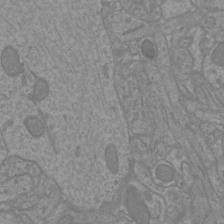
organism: Mouse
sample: Cortical neurons